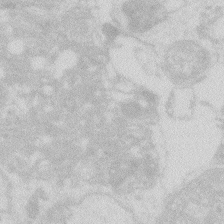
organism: Zebrafish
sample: Macrophage